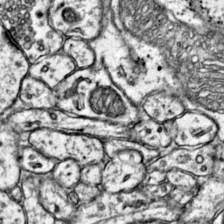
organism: Mouse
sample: Primary visual cortex